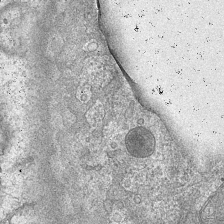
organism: Mouse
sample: CA1 Hippocampus